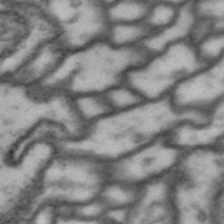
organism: Drosophila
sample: Brain